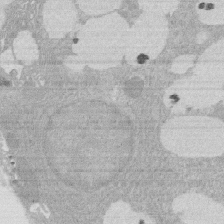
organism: Rat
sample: Salivary granule